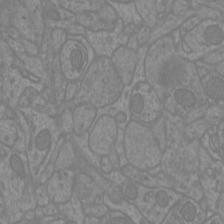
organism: Mouse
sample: Cortical neurons